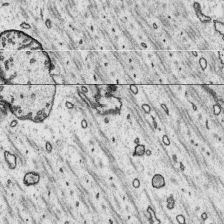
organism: Platynereis dumerilii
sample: Parapodia